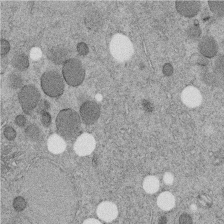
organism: C. elegans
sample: C. elegans embryo early stage